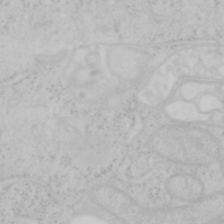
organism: Mouse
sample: OT-I killer T cells with ID8 ovarian cancer cells